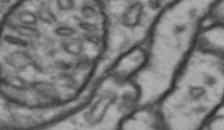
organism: Drosophila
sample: Brain